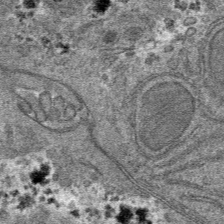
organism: Mouse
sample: Mouse hepatocytes